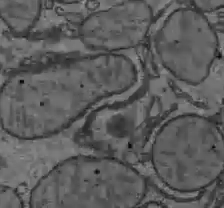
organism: C57BL Mouse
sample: Liver